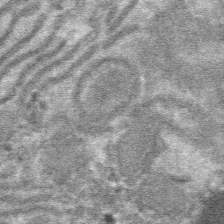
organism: Mouse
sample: Mouse hepatocytes